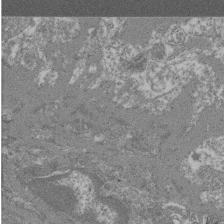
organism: Mouse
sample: Glomerulus